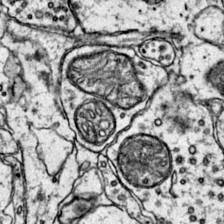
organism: Mouse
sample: Primary visual cortex